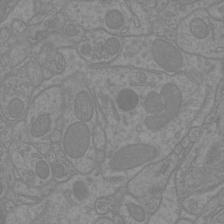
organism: Mouse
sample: Cortical neurons